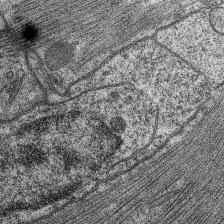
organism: C. elegans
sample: Pharynx